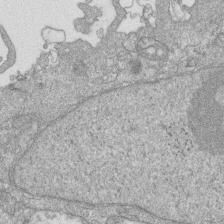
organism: Human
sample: HeLa cell HIV synapse